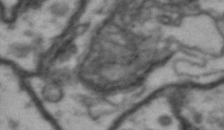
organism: Drosophila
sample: Brain